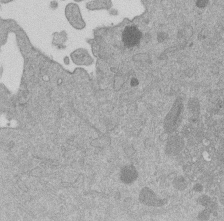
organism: Mouse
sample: Dividing mouse embryo 1 cell stage